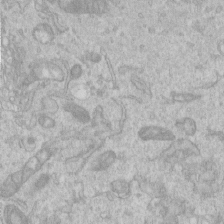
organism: Human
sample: Centriole in RPE cells